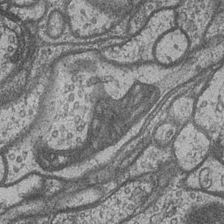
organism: Drosophila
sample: Optic medulla